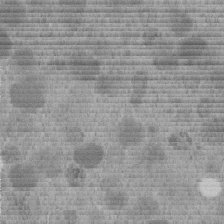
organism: C. elegans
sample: C. elegans embryo early stage